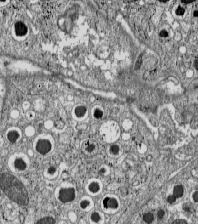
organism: C57BL Mouse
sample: Pancreatic islet